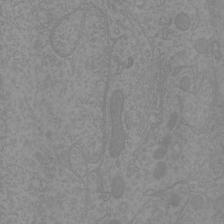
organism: Mouse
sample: Cortical neurons